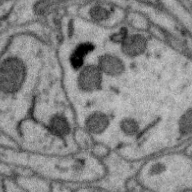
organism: Zebra finch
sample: Brain